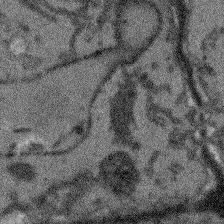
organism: Arabidopsis thaliana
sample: Root tip